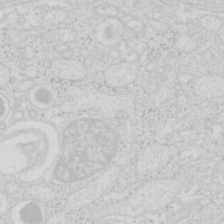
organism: Mouse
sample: Pancreas